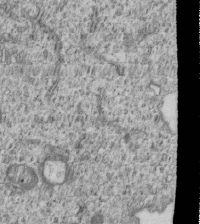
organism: Human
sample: MDA-MB-231 cells